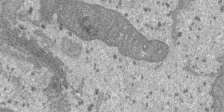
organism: Human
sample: Lung epithelial cells infected with SARS-CoV-2